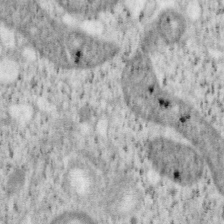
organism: Mouse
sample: OT-I killer T cells with ID8 ovarian cancer cells